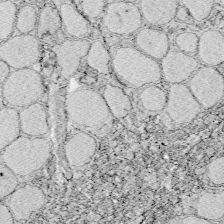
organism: Zebrafish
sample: Whole-Brain